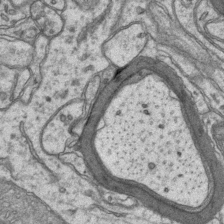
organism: Mouse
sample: CA1 Hippocampus